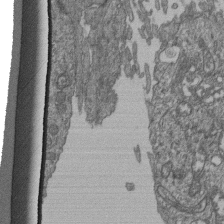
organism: Human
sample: Retinal organoid Rod and Cone cells